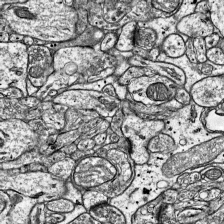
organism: Mouse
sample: Visual Cortex